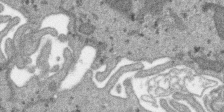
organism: Human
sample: Lung epithelial cells infected with SARS-CoV-2